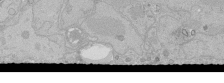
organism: Human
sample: Caco-2 cells